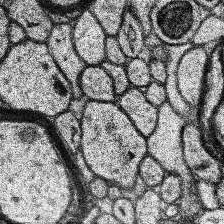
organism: Human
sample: Temporal Lobe